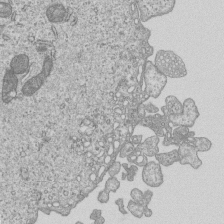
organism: Human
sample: MDA-MB-231 cells